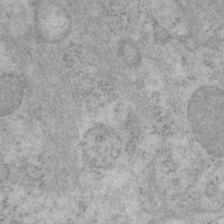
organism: P. pacificus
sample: Pharynx